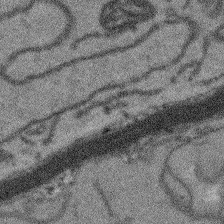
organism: Arabidopsis thaliana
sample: Root tip